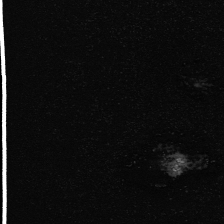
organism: Human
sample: Mitochondria in U2OS cells